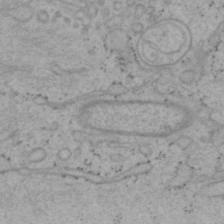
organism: Human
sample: HeLa cells